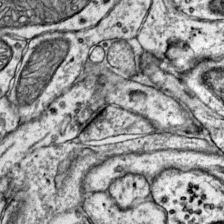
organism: Mouse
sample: Primary visual cortex